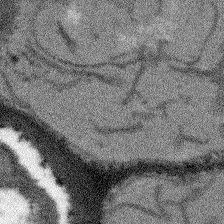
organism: Arabidopsis thaliana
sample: Root tip